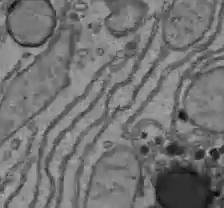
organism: C57BL Mouse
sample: Liver